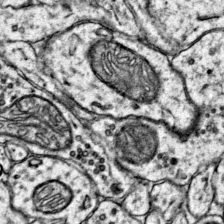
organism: Mouse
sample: Primary visual cortex